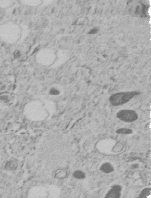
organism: C. elegans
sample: C. elegans embryo early stage